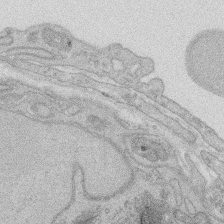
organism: Rat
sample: Salivary granule